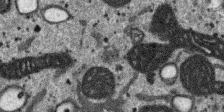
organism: Human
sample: Lung epithelial cells infected with SARS-CoV-2